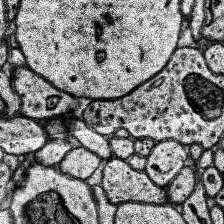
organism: Human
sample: Temporal Lobe